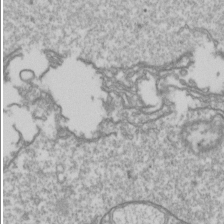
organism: Drosophila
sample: Cell division; meiosis; drosophila spermatocytes